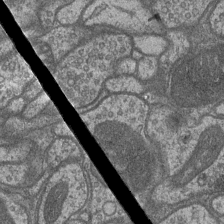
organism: Drosophila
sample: Optic medulla